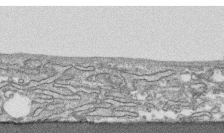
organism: Human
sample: CRL-1474